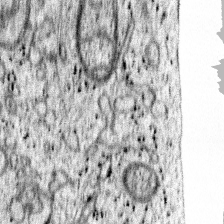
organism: Human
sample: HeLa cells